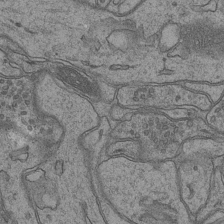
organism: Mouse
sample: CA1 Hippocampus